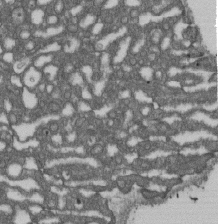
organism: Drosophila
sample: Nephrocyte